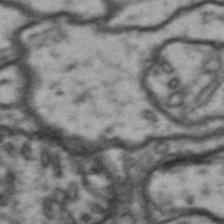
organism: Drosophila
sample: Brain